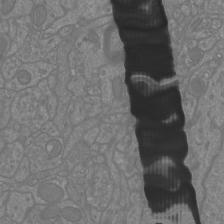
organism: Mouse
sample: Cortical neurons